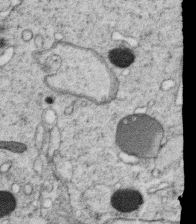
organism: C. elegans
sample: C. elegans oocyte; sperm cells